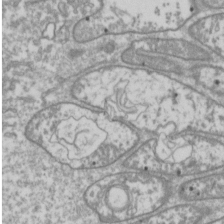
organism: Drosophila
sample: Cell division; meiosis; drosophila spermatocytes